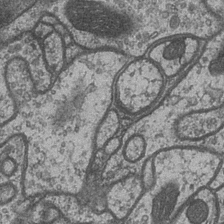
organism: Drosophila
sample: Optic medulla